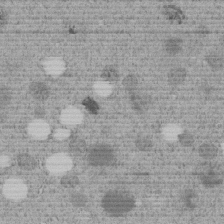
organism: C. elegans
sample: C. elegans embryo early stage